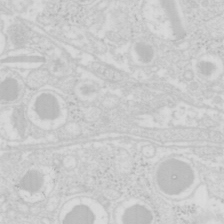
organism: Mouse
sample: Pancreas